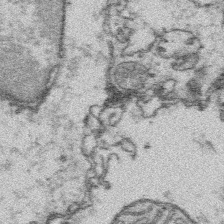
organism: Platynereis dumerilii